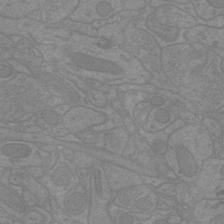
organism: Mouse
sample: Cortical neurons